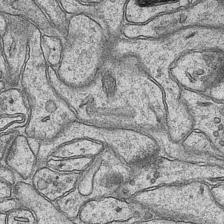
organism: Mouse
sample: CA1 Hippocampus